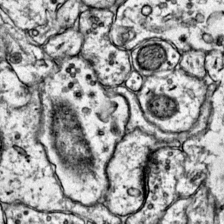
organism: Mouse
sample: Primary visual cortex